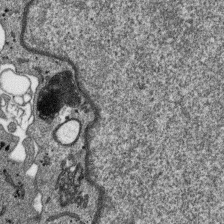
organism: Human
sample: Lung epithelial cells infected with SARS-CoV-2